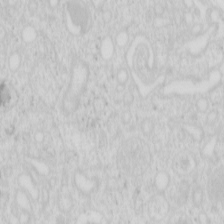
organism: Mouse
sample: Pancreas